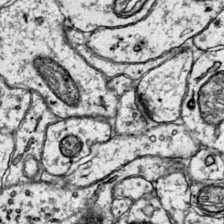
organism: Mouse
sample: Primary visual cortex